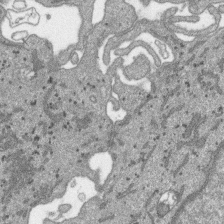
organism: Human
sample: Lung epithelial cells infected with SARS-CoV-2